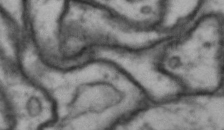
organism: Drosophila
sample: Brain